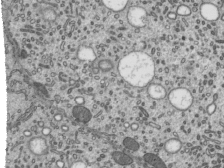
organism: Mouse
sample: Mouse epididymis efferent ductule cilia